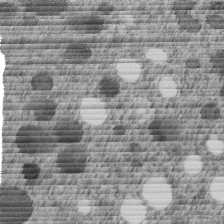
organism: C. elegans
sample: C. elegans embryo early stage